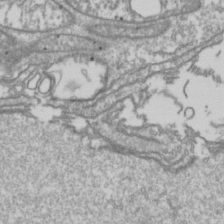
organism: Drosophila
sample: Cell division; meiosis; drosophila spermatocytes